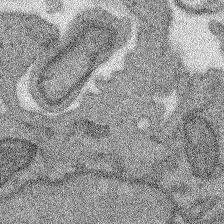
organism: Human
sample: HeLa cells